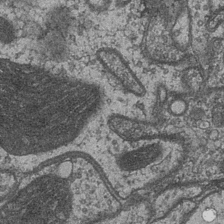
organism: Drosophila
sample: Optic medulla